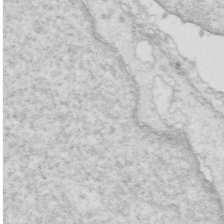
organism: Mouse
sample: Multiciliated cells